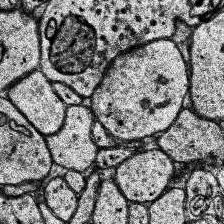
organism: Human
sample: Temporal Lobe